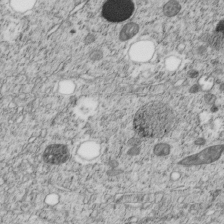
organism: C. elegans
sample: C. elegans embryo early stage